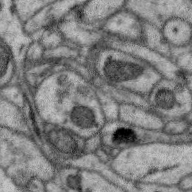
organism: Zebra finch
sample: Brain